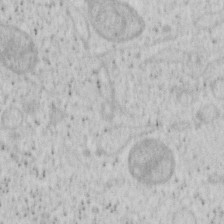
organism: Human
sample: HeLa cells